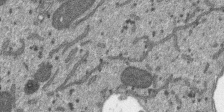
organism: Human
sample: Lung epithelial cells infected with SARS-CoV-2